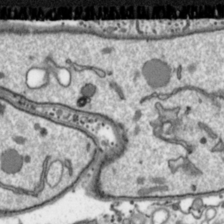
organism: Toxoplasma gondii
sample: Parasites in a vacuole inside a host cell